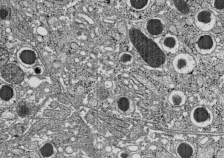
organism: C57BL Mouse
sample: Pancreatic islet